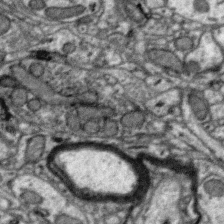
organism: Zebra finch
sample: Brain